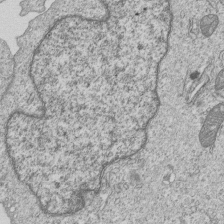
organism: Human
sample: MDA-MB-231 cells